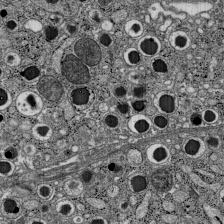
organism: C57BL Mouse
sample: Pancreatic islet